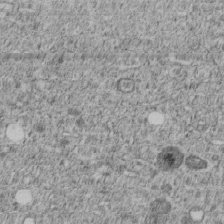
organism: C. elegans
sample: C. elegans embryo early stage